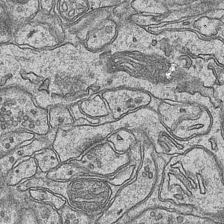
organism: Mouse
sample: CA1 Hippocampus